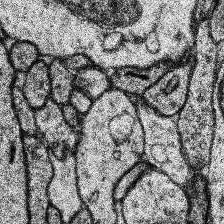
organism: Human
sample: Temporal Lobe